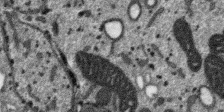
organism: Human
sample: Lung epithelial cells infected with SARS-CoV-2